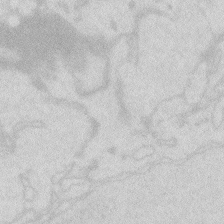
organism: Zebrafish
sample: Macrophage